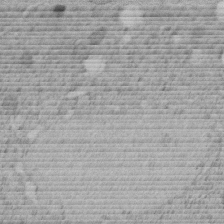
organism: C. elegans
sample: C. elegans embryo early stage